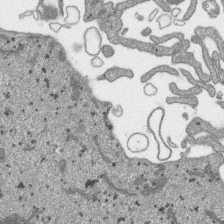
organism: Human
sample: Lung epithelial cells infected with SARS-CoV-2